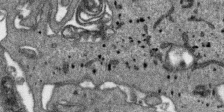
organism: Human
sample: Lung epithelial cells, uninfected (mock) control